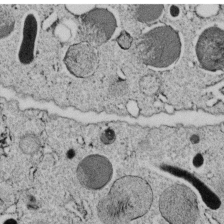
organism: C. elegans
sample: C. elegans embryo early stage